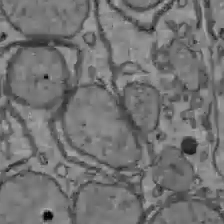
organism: C57BL Mouse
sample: Liver